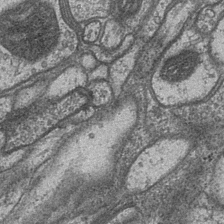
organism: Drosophila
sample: Optic medulla